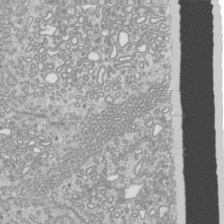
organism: Mouse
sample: Cilia; mouse epididymis